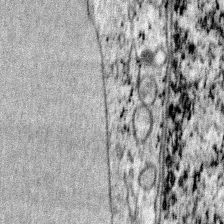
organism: Human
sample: HeLa cells